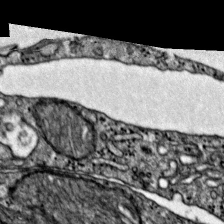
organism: Mouse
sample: Primary visual cortex